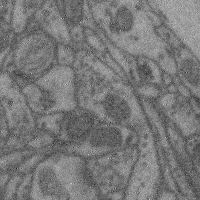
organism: Mouse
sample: Cerebral cortex